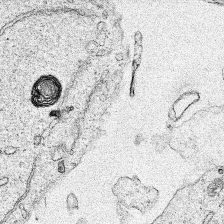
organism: Human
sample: Mitochondria in HCT116 cells